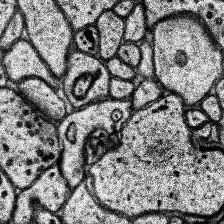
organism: Human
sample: Temporal Lobe